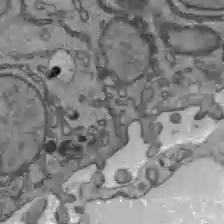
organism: C57BL Mouse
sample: Liver